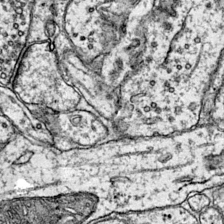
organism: Mouse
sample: Primary visual cortex